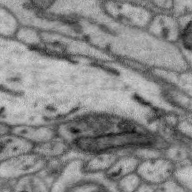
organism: Zebra finch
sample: Brain